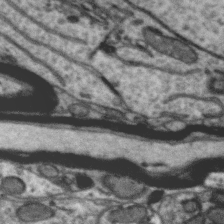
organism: Zebra finch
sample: Brain